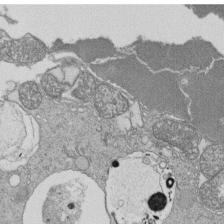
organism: Tetrahymena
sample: Cilia in tetrahymena